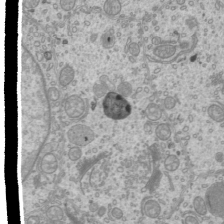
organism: Mouse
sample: Cilia; mouse epididymis